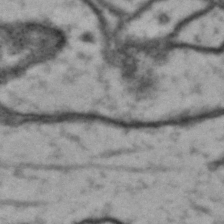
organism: Drosophila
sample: Brain